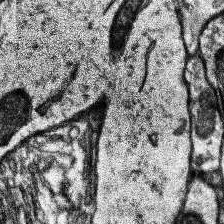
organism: Human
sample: Temporal Lobe